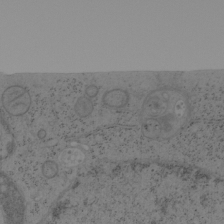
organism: Mouse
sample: OT-I killer T cells with ID8 ovarian cancer cells